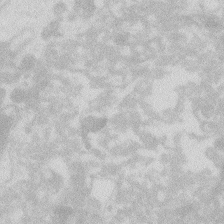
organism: Zebrafish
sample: Macrophage